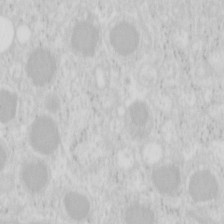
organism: Mouse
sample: Pancreas